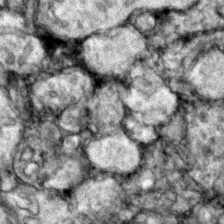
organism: Zebrafish